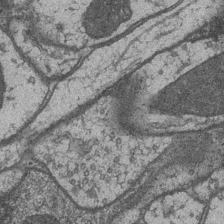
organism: Drosophila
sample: Optic medulla